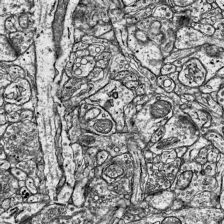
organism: Mouse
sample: Visual Cortex